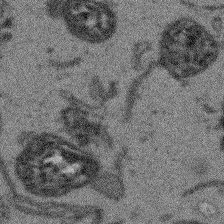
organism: Arabidopsis thaliana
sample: Root tip